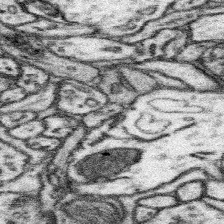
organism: Mouse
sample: Somatosensory cortex neuropil